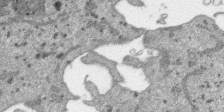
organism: Human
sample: Lung epithelial cells infected with SARS-CoV-2